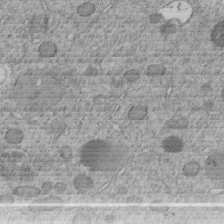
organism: C. elegans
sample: C. elegans embryo early stage